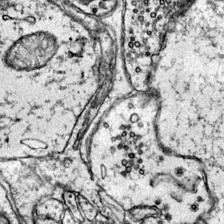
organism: Mouse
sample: Primary visual cortex